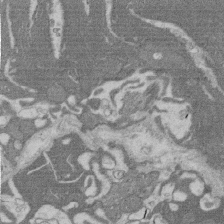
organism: Rat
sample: Salivary granule